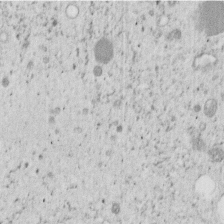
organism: C. elegans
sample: C. elegans embryo early stage